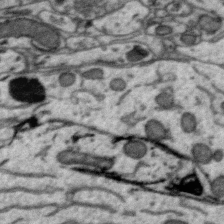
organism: Zebra finch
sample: Brain